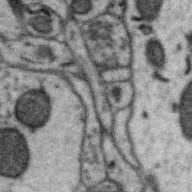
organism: Zebra finch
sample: Brain